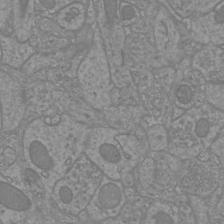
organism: Mouse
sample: Cortical neurons